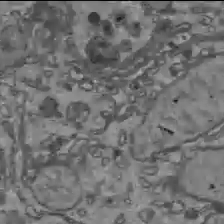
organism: C57BL Mouse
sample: Liver